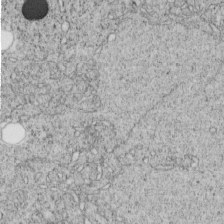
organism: C. elegans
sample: C. elegans embryo early stage